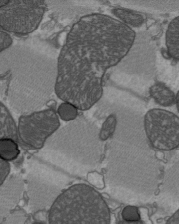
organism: C57BL Mouse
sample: Heart